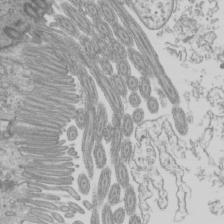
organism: Mouse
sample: Cilia; mouse epididymis